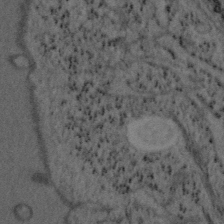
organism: Human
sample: HeLa cells